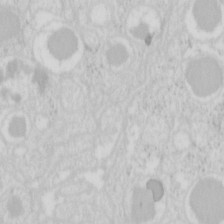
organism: Mouse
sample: Pancreas